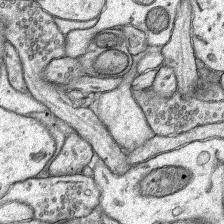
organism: Rat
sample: Hippocampus